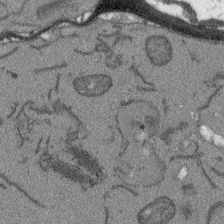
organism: Arabidopsis thaliana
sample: Root tip